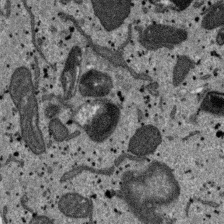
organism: Human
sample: Lung epithelial cells, uninfected (mock) control